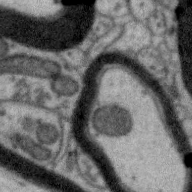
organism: Zebra finch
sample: Brain